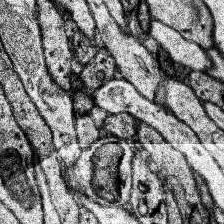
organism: Human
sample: Temporal Lobe